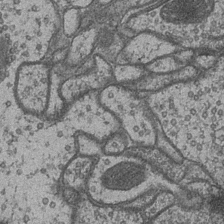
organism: Drosophila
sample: Optic medulla